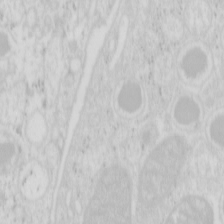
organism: Mouse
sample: Pancreas